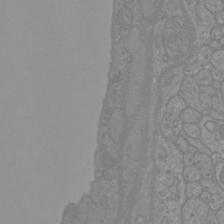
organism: Mouse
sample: Cortical neurons